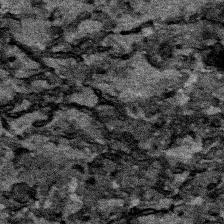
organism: Human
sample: Mitochondria in HCT116 cells